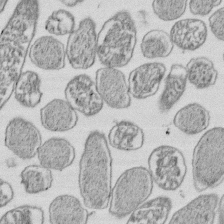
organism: E. coli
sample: Bacterial nucleoid